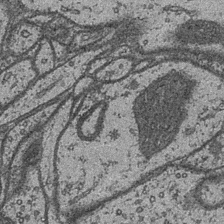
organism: Drosophila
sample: Optic medulla